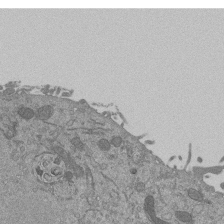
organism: Mouse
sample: ED-1 cell nuclei; centrioles